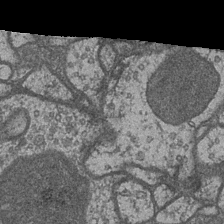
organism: Drosophila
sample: Optic medulla